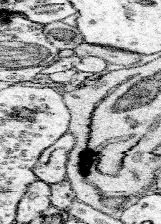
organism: Mouse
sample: Somatosensory cortex neuropil